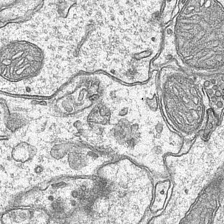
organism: Mouse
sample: CA1 Hippocampus